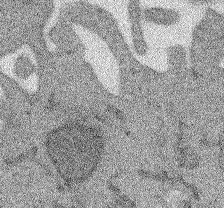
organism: Human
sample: HeLa cells